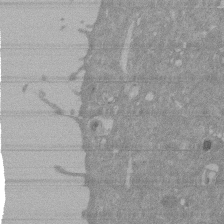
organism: Mouse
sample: ED-1 cell nuclei; centrioles